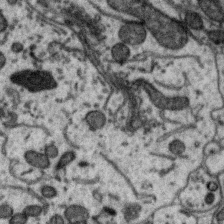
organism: Zebra finch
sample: Brain